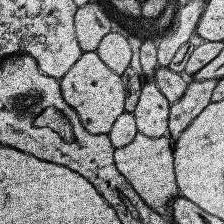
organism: Human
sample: Temporal Lobe